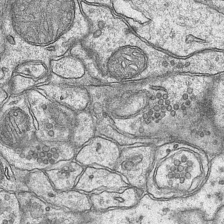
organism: Mouse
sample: CA1 Hippocampus